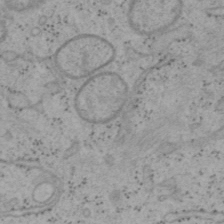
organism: Human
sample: HeLa cells